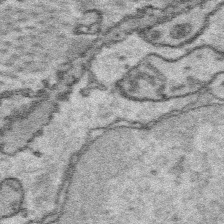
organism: Platynereis dumerilii